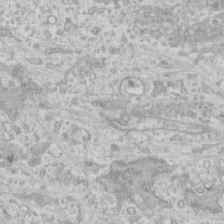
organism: Human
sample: CRL-1474